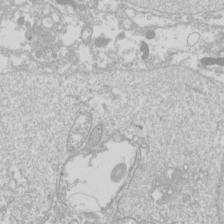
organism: Drosophila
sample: Cell division; meiosis; drosophila spermatocytes